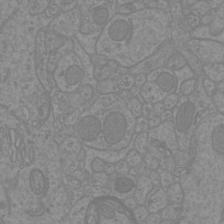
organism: Mouse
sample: Cortical neurons